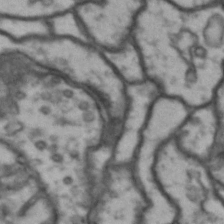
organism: Drosophila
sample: Brain